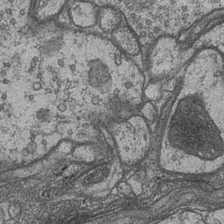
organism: Drosophila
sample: Optic medulla